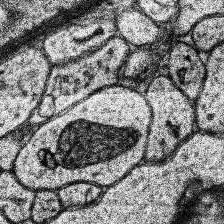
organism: Human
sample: Temporal Lobe